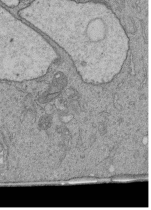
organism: Human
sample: Retinal organoid Rod and Cone cells